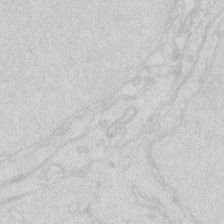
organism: Zebrafish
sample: Macrophage